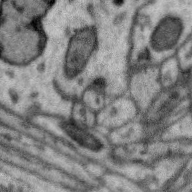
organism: Zebra finch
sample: Brain